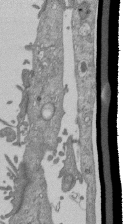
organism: Mouse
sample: ED-1 cell nuclei; centrioles